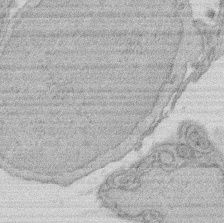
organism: Rat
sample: Salivary granule